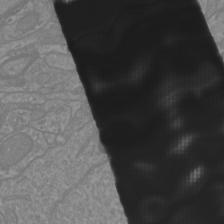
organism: Mouse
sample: Cortical neurons